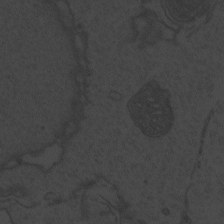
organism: Zebrafish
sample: Macrophage infected with Toxoplasma gondii